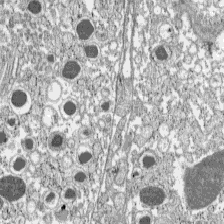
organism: C57BL Mouse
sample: Pancreatic islet